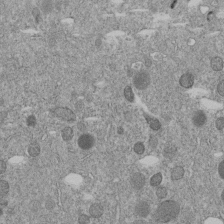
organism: C. elegans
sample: C. elegans embryo early stage